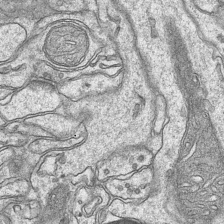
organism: Mouse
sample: CA1 Hippocampus